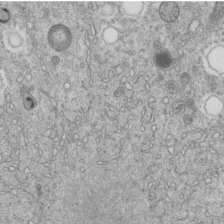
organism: C. elegans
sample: C. elegans embryo early stage